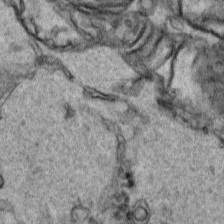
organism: Human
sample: Mitochondria in HCT116 cells